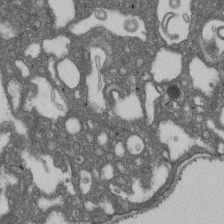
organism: Drosophila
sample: Nephrocyte